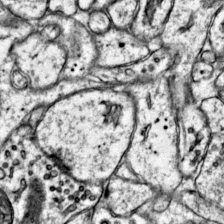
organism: Mouse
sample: Primary visual cortex